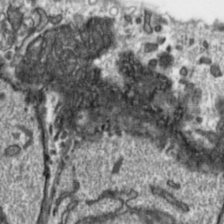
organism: Toxoplasma gondii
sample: Parasites in a vacuole inside a host cell